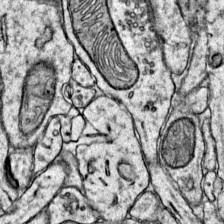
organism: Mouse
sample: Primary visual cortex